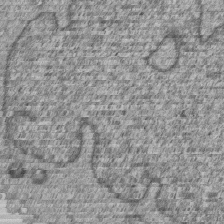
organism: Human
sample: MDA-MB-231 cells